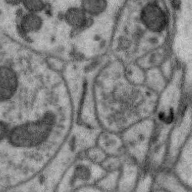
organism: Zebra finch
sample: Brain